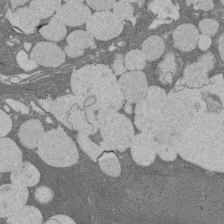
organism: Rat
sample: Salivary granule